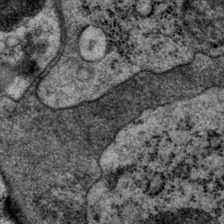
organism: P. pacificus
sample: Pharynx